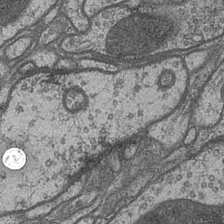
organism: Drosophila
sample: Optic medulla